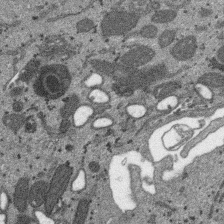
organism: Human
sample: Lung epithelial cells infected with SARS-CoV-2